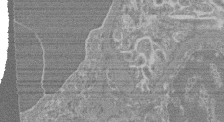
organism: Mouse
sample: Glomerulus